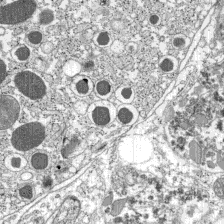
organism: C57BL Mouse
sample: Pancreatic islet